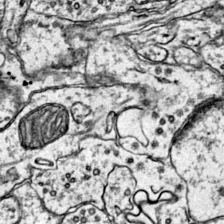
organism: Mouse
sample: Primary visual cortex